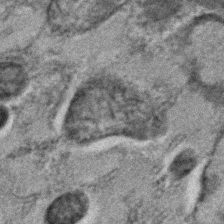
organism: C. elegans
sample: C. elegans embryo